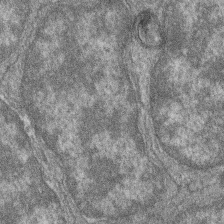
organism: Zebrafish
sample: Cilia; retinal pigment epithelium